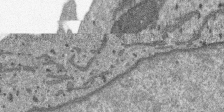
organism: Human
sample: Lung epithelial cells infected with SARS-CoV-2